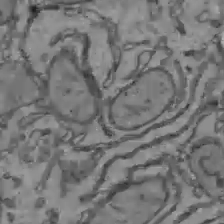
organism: C57BL Mouse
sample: Liver